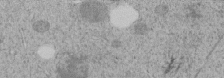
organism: C. elegans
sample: C. elegans embryo early stage